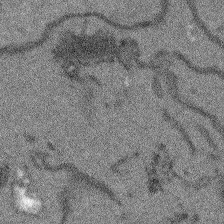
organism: Arabidopsis thaliana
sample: Root tip